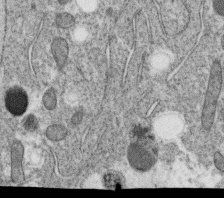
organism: C. elegans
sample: C. elegans oocyte; sperm cells